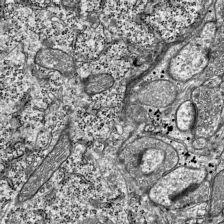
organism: Mouse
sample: Visual Cortex